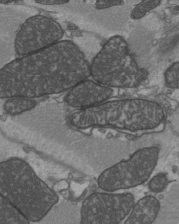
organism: C57BL Mouse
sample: Heart